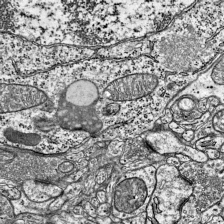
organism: Mouse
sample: Visual Cortex